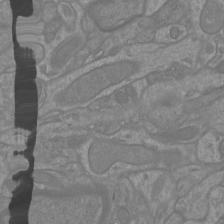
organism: Mouse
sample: Cortical neurons